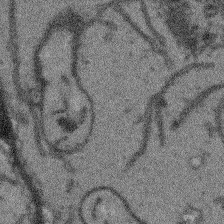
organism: Arabidopsis thaliana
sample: Root tip